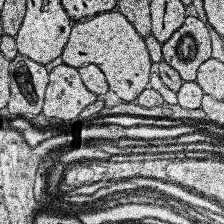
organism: Human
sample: Temporal Lobe